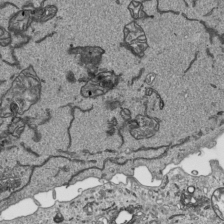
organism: Human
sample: Mitochondria in HCT116 cells